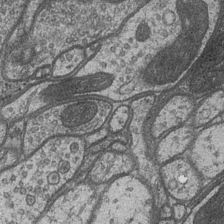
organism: Drosophila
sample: Optic medulla